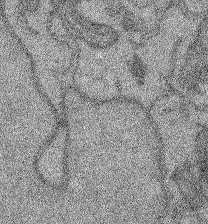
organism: Human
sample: HeLa cells